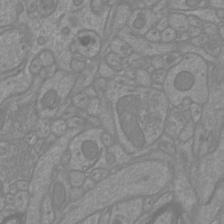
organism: Mouse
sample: Cortical neurons